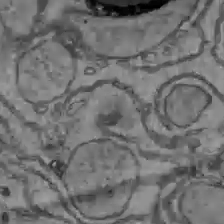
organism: C57BL Mouse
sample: Liver